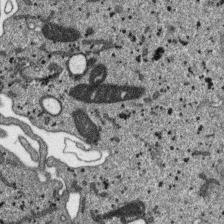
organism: Human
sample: Lung epithelial cells infected with SARS-CoV-2